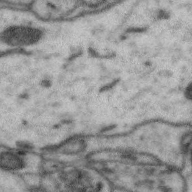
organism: Zebra finch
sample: Brain